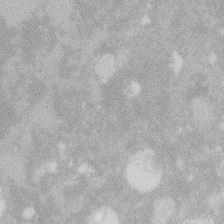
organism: Zebrafish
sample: Macrophage